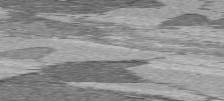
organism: C57BL Mouse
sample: Heart